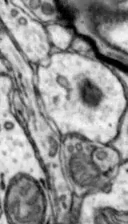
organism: Mouse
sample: Nucleus accumbens